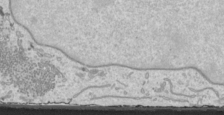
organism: Human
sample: Mitochondria in HCT116 cells